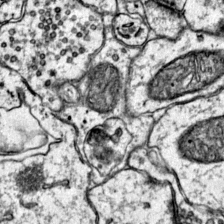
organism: Mouse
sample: Primary visual cortex